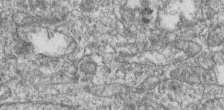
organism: Human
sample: HeLa cell HIV synapse